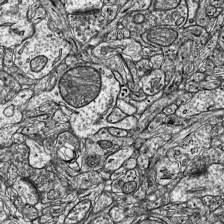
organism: Mouse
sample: Visual Cortex